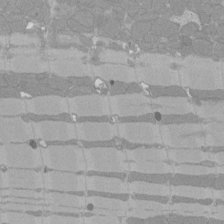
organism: Rat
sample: Left ventricle